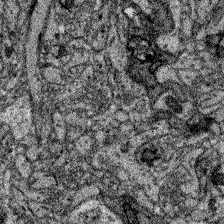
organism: Zebrafish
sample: Larval olfactory bulb